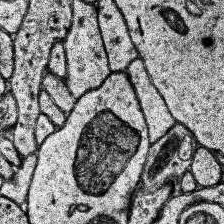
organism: Human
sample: Temporal Lobe